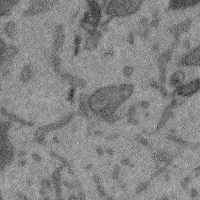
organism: Mouse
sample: Cerebral cortex